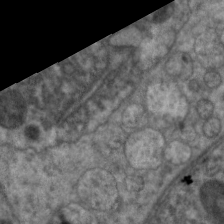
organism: C. elegans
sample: Pharynx